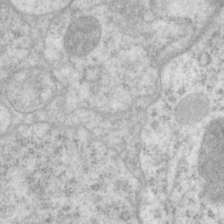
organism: P. pacificus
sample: Pharynx